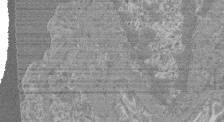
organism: Mouse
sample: Glomerulus